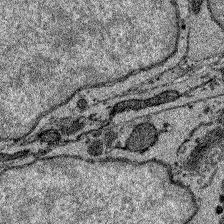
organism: Zebrafish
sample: Larval olfactory bulb